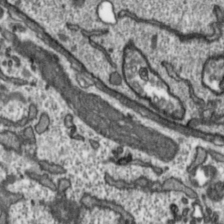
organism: Toxoplasma gondii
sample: Parasites in a vacuole inside a host cell